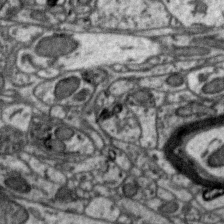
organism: Zebra finch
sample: Brain